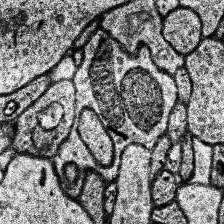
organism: Human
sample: Temporal Lobe